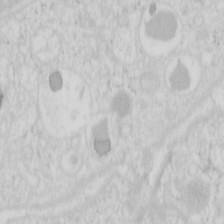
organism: Mouse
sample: Pancreas